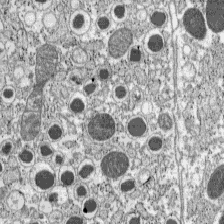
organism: C57BL Mouse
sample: Pancreatic islet